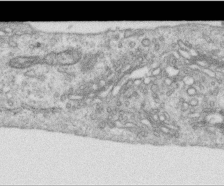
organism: Human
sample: Centriole in RPE cells